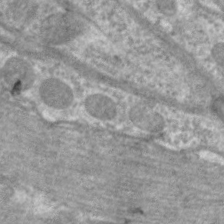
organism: C. elegans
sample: Pharynx